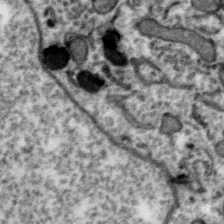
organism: Zebra finch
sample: Brain